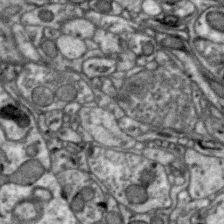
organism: Zebra finch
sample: Brain